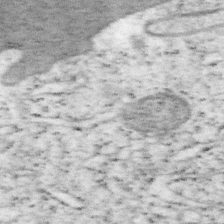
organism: Mouse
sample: OT-I killer T cells with ID8 ovarian cancer cells